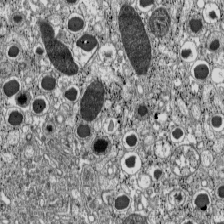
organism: C57BL Mouse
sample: Pancreatic islet